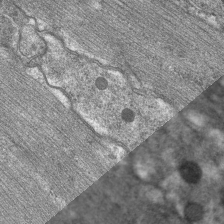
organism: C. elegans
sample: Pharynx